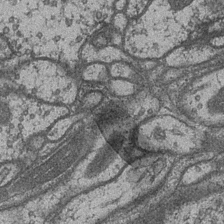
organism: Drosophila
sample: Optic medulla